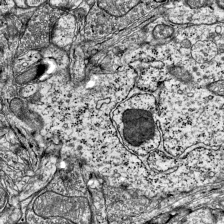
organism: Mouse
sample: Visual Cortex